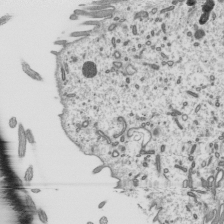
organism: Mouse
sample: Mouse epididymis efferent ductule cilia